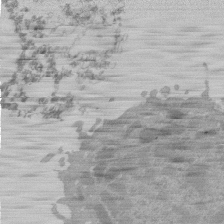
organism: Mouse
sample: Activated Pmel transgenic CD8+ T Cells